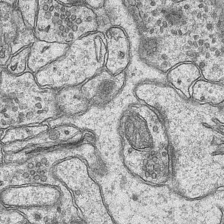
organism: Mouse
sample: CA1 Hippocampus